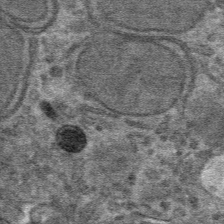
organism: Mouse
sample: Mouse hepatocytes